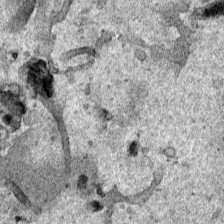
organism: Human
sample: Mitochondria in HCT116 cells